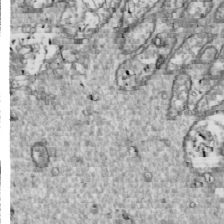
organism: Drosophila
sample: Cell division; meiosis; drosophila spermatocytes